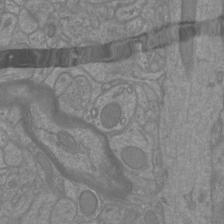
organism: Mouse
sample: Cortical neurons